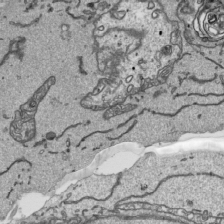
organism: Human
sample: Mitochondria in HCT116 cells